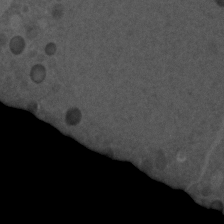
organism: C. elegans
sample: C. elegans embryo